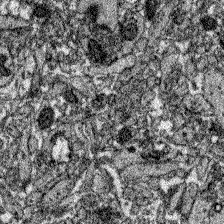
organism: Zebrafish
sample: Larval olfactory bulb